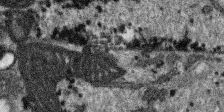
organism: Human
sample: Lung epithelial cells infected with SARS-CoV-2